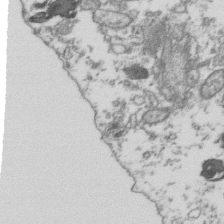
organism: Human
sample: Activated Jurkat CD4+ T cells